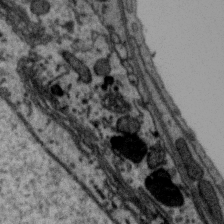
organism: Zebra finch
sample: Brain